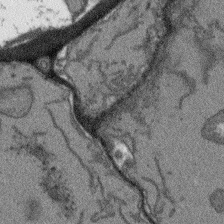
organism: Arabidopsis thaliana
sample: Root tip